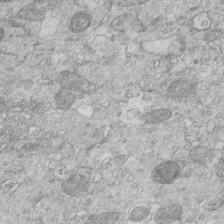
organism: Mouse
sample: Multiciliated cells